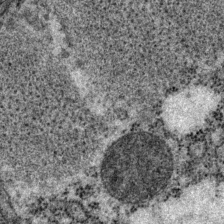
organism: P. pacificus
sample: Pharynx